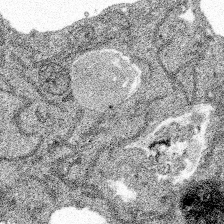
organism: Spongilla lacustris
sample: Multiple